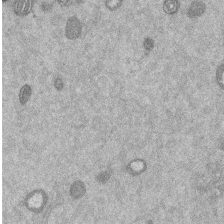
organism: Mouse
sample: Dividing mouse embryo 1 cell stage